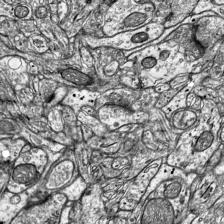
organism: Mouse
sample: Visual Cortex